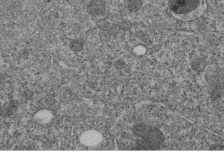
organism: C. elegans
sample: C. elegans embryo early stage